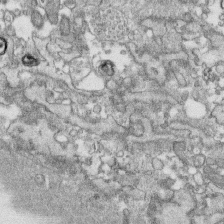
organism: Human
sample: CRL-1474